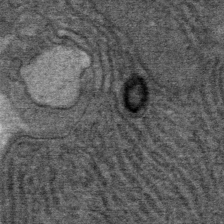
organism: Mouse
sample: Mouse Salivary gland